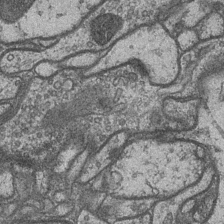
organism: Drosophila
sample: Optic medulla